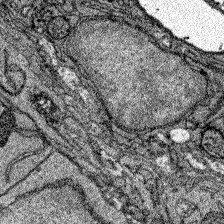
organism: Zebrafish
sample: Larval olfactory bulb